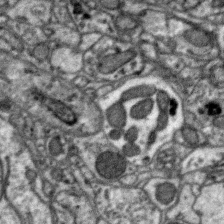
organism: Zebra finch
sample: Brain